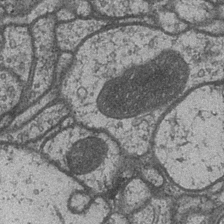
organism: Drosophila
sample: Optic medulla